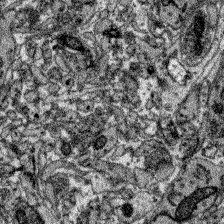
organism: Zebrafish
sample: Larval olfactory bulb